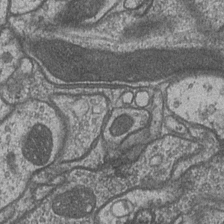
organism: Drosophila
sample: Optic medulla